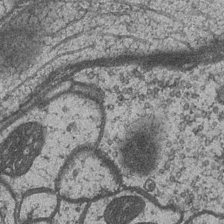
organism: Drosophila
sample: Optic medulla